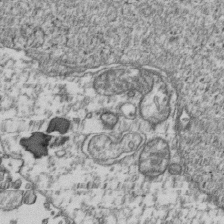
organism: Human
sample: Activated Jurkat CD4+ T cells